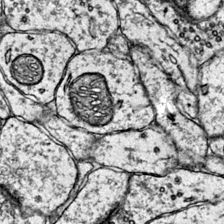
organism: Mouse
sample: Primary visual cortex